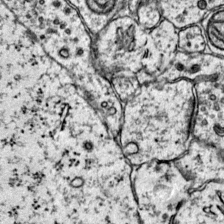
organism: Mouse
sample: Primary visual cortex